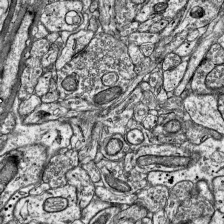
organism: Mouse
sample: Visual Cortex